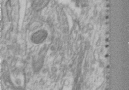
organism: Human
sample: Centriole in RPE cells